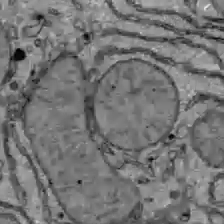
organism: C57BL Mouse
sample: Liver